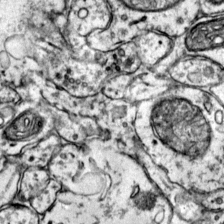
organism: Mouse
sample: Primary visual cortex